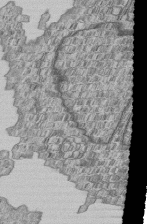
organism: Human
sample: MDA-MB-231 cells